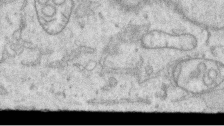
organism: Human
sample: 1205lu cells